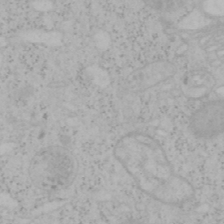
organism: Mouse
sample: OT-I killer T cells with ID8 ovarian cancer cells